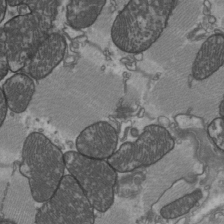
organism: C57BL Mouse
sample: Heart